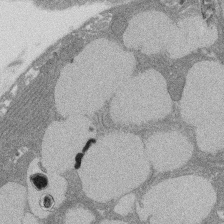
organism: Rat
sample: Salivary granule